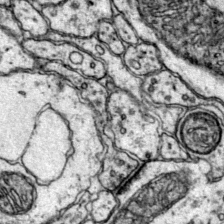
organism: Mouse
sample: Primary visual cortex